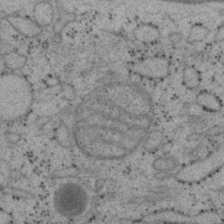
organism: Human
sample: HeLa cells